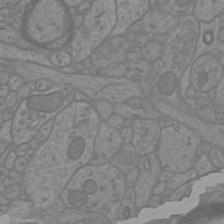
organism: Mouse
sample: Cortical neurons